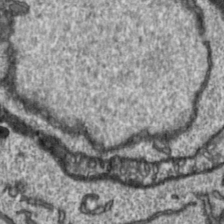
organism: Toxoplasma gondii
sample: Parasites in a vacuole inside a host cell